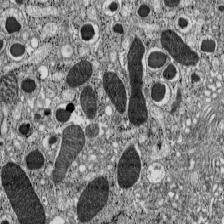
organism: C57BL Mouse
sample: Pancreatic islet